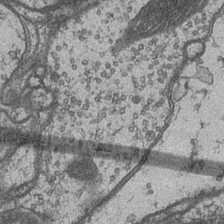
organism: Drosophila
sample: Optic medulla